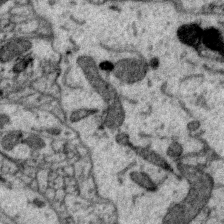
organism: Zebra finch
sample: Brain